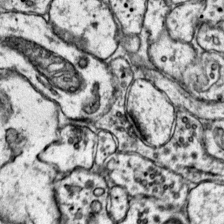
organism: Mouse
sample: Primary visual cortex